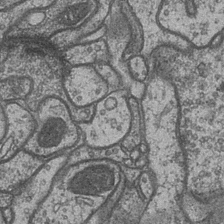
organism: Drosophila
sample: Optic medulla